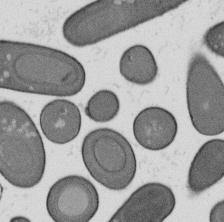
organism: B. subtilis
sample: Bacterial spore